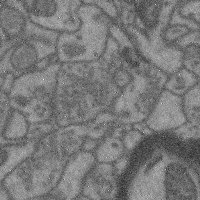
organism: Mouse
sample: Cerebral cortex